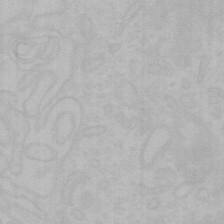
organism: Mouse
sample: Choroid plexus